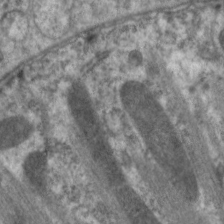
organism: C. elegans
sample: Pharynx